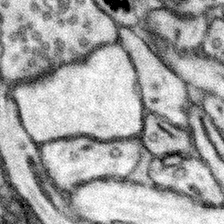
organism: Mouse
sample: Somatosensory cortex neuropil